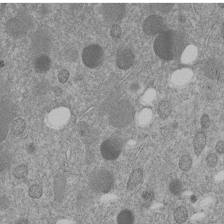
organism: C. elegans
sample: C. elegans embryo early stage